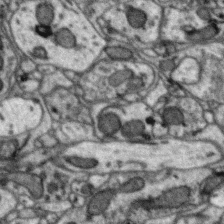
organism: Zebra finch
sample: Brain